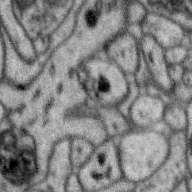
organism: Zebra finch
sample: Brain